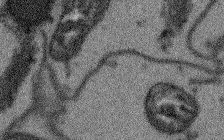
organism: Arabidopsis thaliana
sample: Root tip